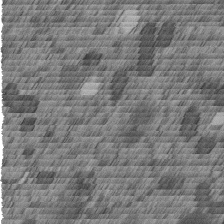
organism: C. elegans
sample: C. elegans embryo early stage